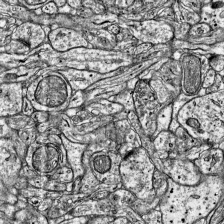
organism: Mouse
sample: Visual Cortex